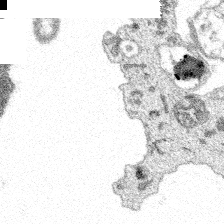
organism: Spongilla lacustris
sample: Multiple